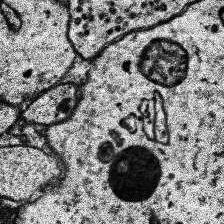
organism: Human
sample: Temporal Lobe